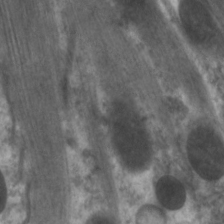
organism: C. elegans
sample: Pharynx